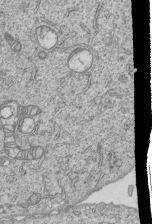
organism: Human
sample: MDA-MB-231 cells